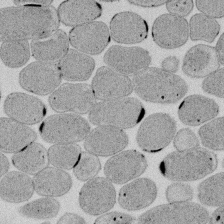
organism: E. coli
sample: Bacterial nucleoid